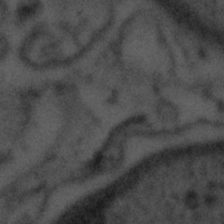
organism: Tuwongella immobilis